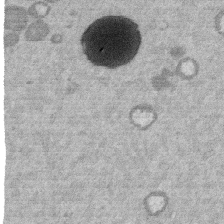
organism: Mouse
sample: Dividing mouse embryo 1 cell stage